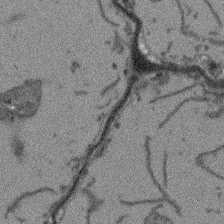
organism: Arabidopsis thaliana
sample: Root tip